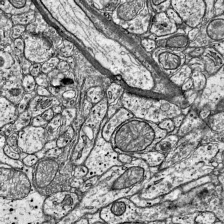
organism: Mouse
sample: Visual Cortex